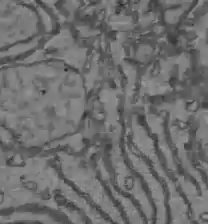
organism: C57BL Mouse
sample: Liver